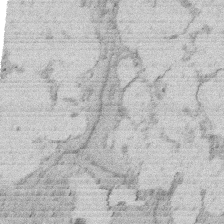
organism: Rat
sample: Salivary granule